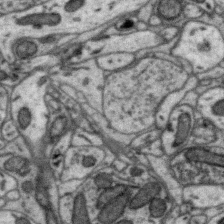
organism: Zebra finch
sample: Brain